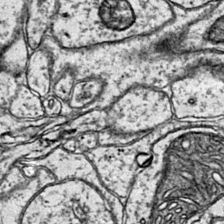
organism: Mouse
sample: Primary visual cortex